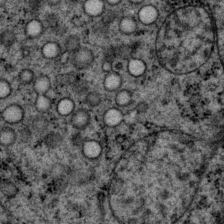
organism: P. pacificus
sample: Pharynx